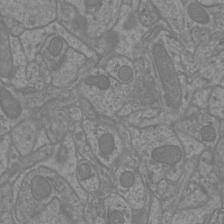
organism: Mouse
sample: Cortical neurons